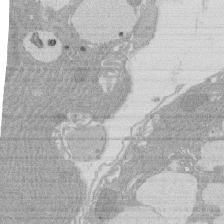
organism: Rat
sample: Salivary granule